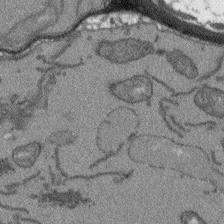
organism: Arabidopsis thaliana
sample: Root tip